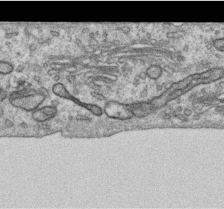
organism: Human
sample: Centriole in RPE cells